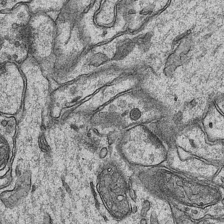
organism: Mouse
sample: CA1 Hippocampus